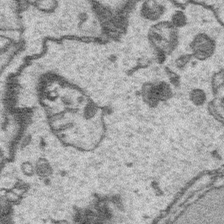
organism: Platynereis dumerilii